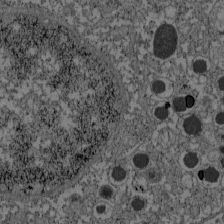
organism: C57BL Mouse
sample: Pancreatic islet